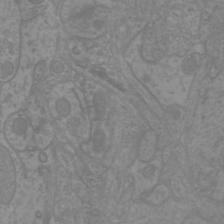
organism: Mouse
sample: Cortical neurons